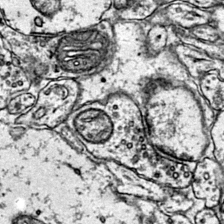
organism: Mouse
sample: Primary visual cortex